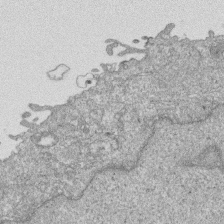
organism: Human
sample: HeLa cell HIV synapse